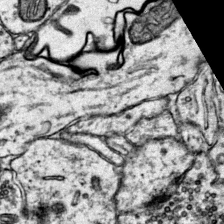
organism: Mouse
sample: Primary visual cortex